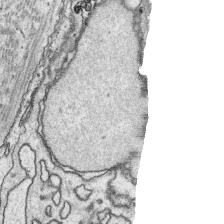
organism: Platynereis dumerilii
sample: Parapodia